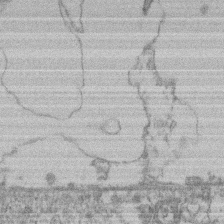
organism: Mouse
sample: T cell stromal cell synapse